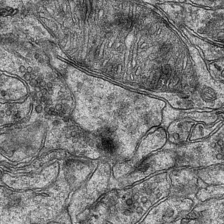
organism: Mouse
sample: CA1 Hippocampus